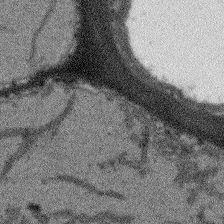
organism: Arabidopsis thaliana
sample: Root tip